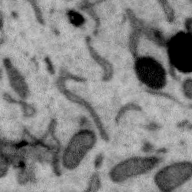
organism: Zebra finch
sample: Brain